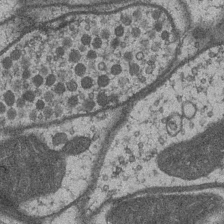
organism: Drosophila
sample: Optic medulla